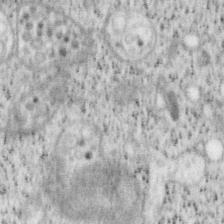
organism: Mouse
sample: OT-I killer T cells with ID8 ovarian cancer cells